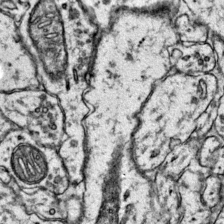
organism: Mouse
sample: Primary visual cortex